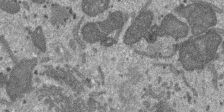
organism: Human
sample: Lung epithelial cells infected with SARS-CoV-2